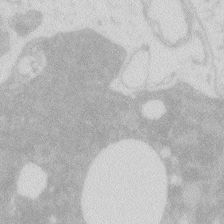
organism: Zebrafish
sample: Macrophage